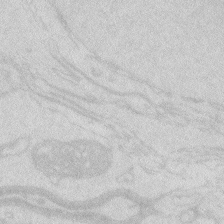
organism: Zebrafish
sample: Macrophage